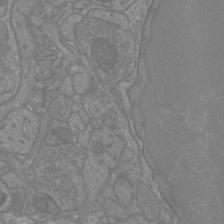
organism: Mouse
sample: Cortical neurons